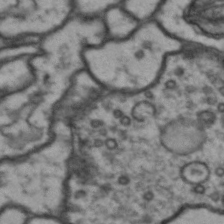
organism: Drosophila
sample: Brain